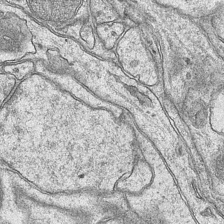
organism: Mouse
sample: CA1 Hippocampus